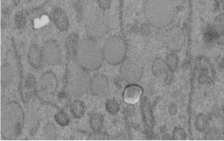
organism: C. elegans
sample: C. elegans embryo early stage